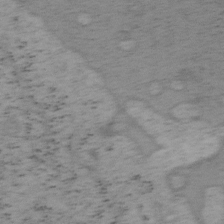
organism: Mouse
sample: OT-I killer T cells with ID8 ovarian cancer cells